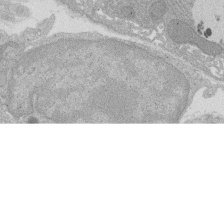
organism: Rat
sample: Salivary granule